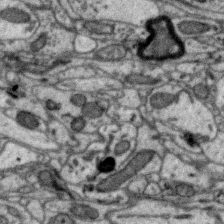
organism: Zebra finch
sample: Brain